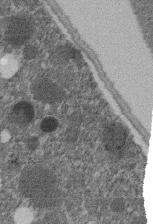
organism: C. elegans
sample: C. elegans embryo early stage